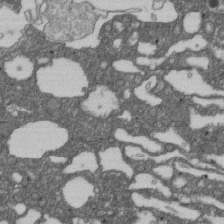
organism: Drosophila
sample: Nephrocyte